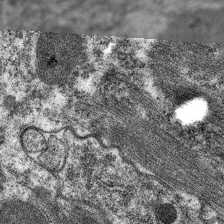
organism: C. elegans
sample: Pharynx